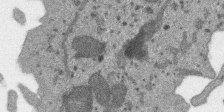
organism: Human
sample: Lung epithelial cells infected with SARS-CoV-2